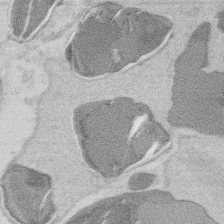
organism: Mouse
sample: T cell stromal cell synapse